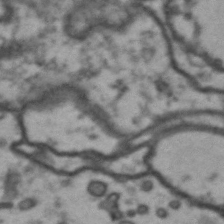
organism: Drosophila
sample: Brain